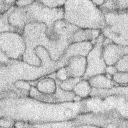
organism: Rabbit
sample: Retina